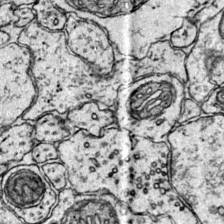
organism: Mouse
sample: Primary visual cortex